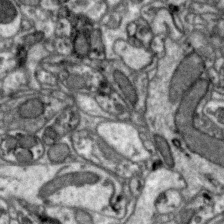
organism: Zebra finch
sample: Brain